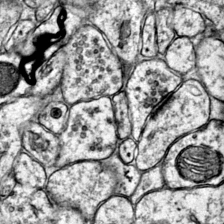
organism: Mouse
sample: Primary visual cortex